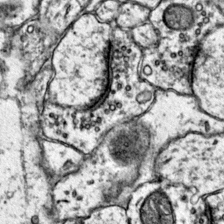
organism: Mouse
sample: Primary visual cortex